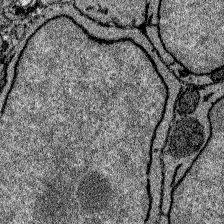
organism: Zebrafish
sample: Larval olfactory bulb